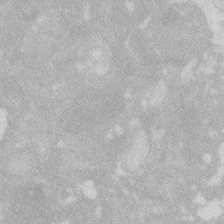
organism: Zebrafish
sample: Macrophage